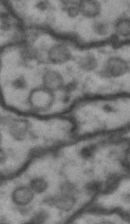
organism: Drosophila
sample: Brain